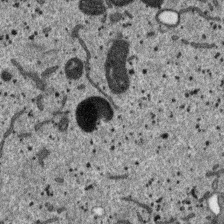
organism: Human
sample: Lung epithelial cells infected with SARS-CoV-2